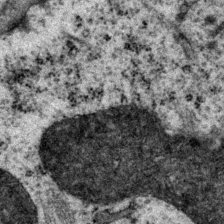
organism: P. pacificus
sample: Pharynx